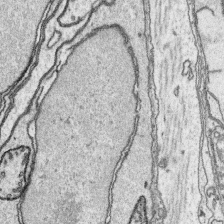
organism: Platynereis dumerilii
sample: Parapodia